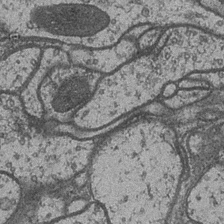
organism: Drosophila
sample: Optic medulla